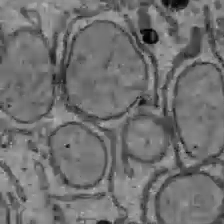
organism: C57BL Mouse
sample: Liver